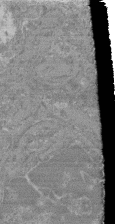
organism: Mouse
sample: Glomerulus